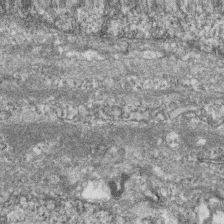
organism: Zebrafish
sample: Cilia; retinal pigment epithelium